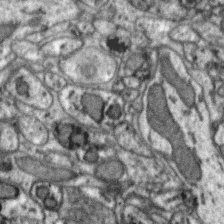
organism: Zebra finch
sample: Brain